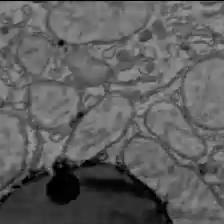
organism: C57BL Mouse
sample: Liver